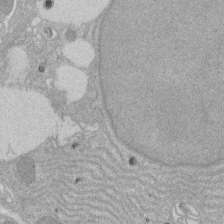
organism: Rat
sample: Salivary granule